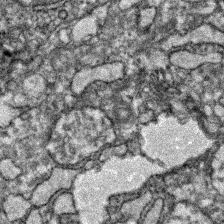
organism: Zebrafish